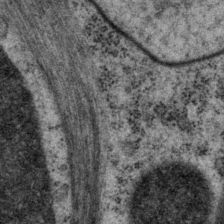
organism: P. pacificus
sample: Pharynx